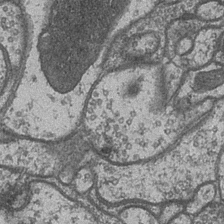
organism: Drosophila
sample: Optic medulla